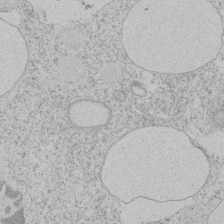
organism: Tetrahymena